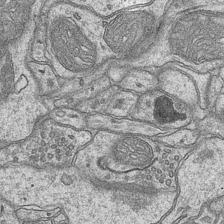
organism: Mouse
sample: CA1 Hippocampus